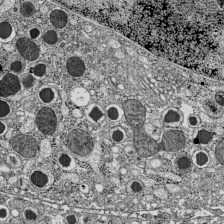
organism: C57BL Mouse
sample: Pancreatic islet